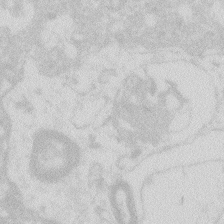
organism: Zebrafish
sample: Macrophage